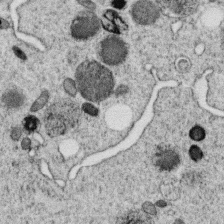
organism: C. elegans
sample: C. elegans oocyte; sperm cells